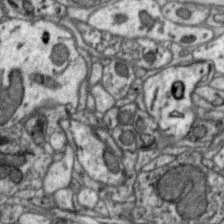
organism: Zebra finch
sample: Brain